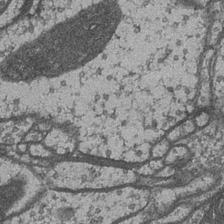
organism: Drosophila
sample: Optic medulla